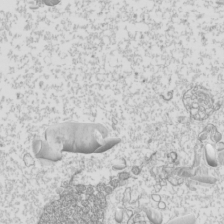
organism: Mouse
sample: Cilia; mouse epididymis